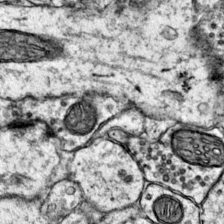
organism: Mouse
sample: Primary visual cortex